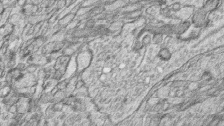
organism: Zebrafish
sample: synaptic ribbons in rod cells and cone cells